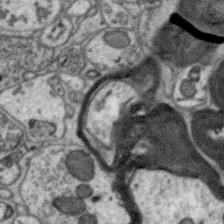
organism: Zebra finch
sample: Brain